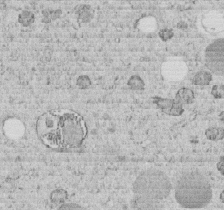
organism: C. elegans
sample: C. elegans embryo early stage